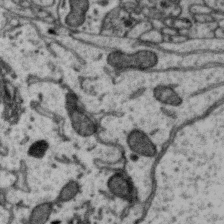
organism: Zebra finch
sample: Brain